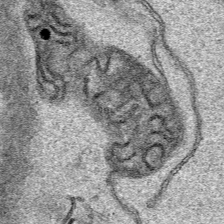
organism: Human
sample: Mitochondria in HCT116 cells